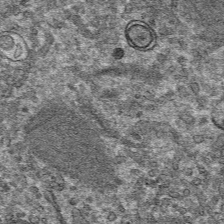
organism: Mouse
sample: Mouse hepatocytes